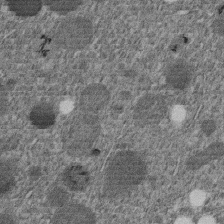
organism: C. elegans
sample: C. elegans embryo early stage